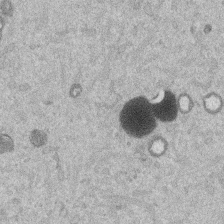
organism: Mouse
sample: Dividing mouse embryo 1 cell stage